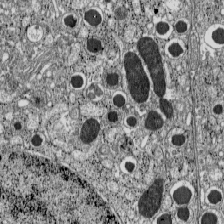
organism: C57BL Mouse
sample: Pancreatic islet